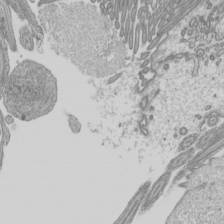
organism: Mouse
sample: Cilia; mouse epididymis